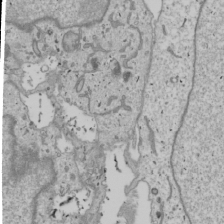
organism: Human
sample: Mitochondria in U2OS cells